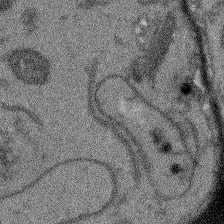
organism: Arabidopsis thaliana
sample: Root tip